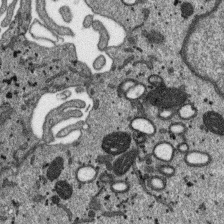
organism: Human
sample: Lung epithelial cells infected with SARS-CoV-2